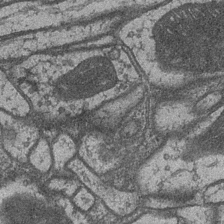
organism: Drosophila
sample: Optic medulla